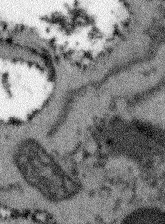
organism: Arabidopsis thaliana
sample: Root tip